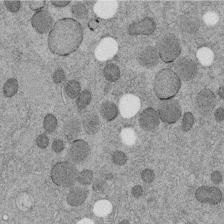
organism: C. elegans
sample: C. elegans embryo early stage